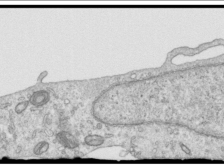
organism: Human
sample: Centriole in RPE cells